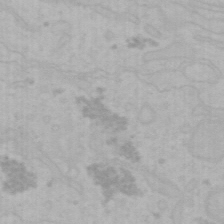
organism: Mouse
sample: Choroid plexus